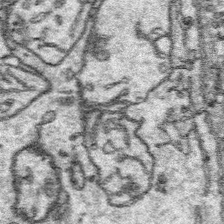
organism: Platynereis dumerilii